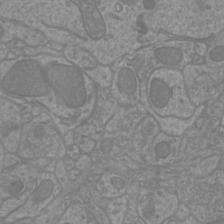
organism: Mouse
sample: Cortical neurons